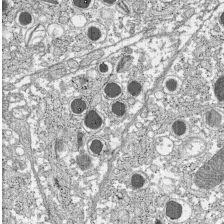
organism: C57BL Mouse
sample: Pancreatic islet